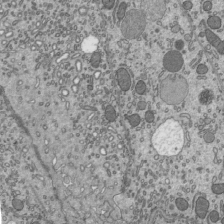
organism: Mouse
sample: Mouse epididymis efferent ductule cilia